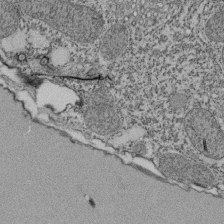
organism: Tetrahymena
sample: Cilia in tetrahymena